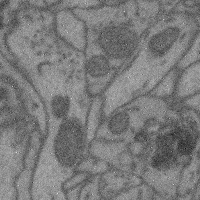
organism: Mouse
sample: Cerebral cortex